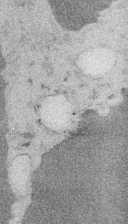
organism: Embia sp.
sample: Silk gland